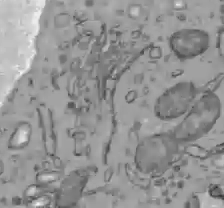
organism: C57BL Mouse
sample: Liver